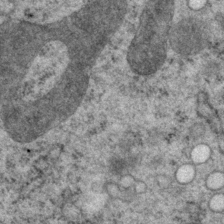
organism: P. pacificus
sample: Pharynx